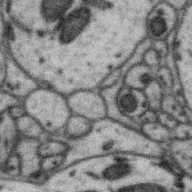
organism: Zebra finch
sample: Brain